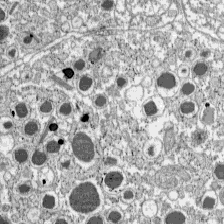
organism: C57BL Mouse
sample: Pancreatic islet